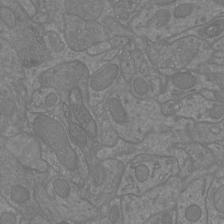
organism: Mouse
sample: Cortical neurons